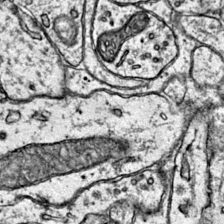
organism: Mouse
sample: Primary visual cortex